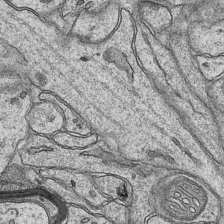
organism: Mouse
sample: CA1 Hippocampus